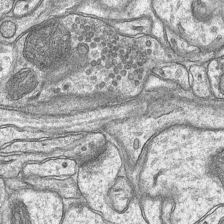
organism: Mouse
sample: CA1 Hippocampus